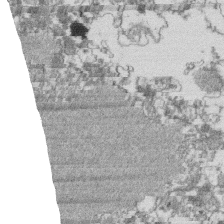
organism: Human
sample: HeLa cell HIV synapse